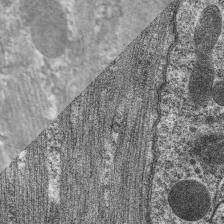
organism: C. elegans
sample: Pharynx